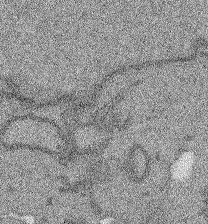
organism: Human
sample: HeLa cells